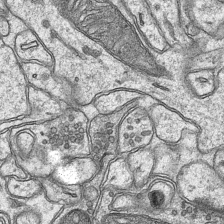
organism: Mouse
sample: CA1 Hippocampus